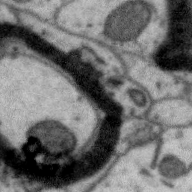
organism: Zebra finch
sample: Brain